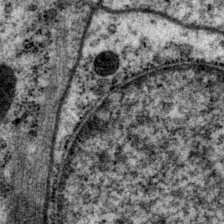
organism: P. pacificus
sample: Pharynx